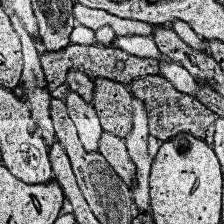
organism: Human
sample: Temporal Lobe